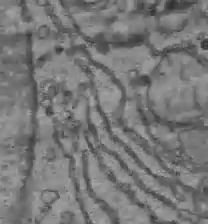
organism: C57BL Mouse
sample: Liver